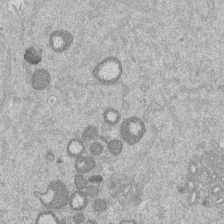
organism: Mouse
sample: Dividing mouse embryo 1 cell stage